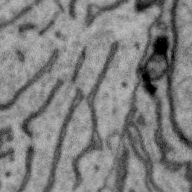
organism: Zebra finch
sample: Brain